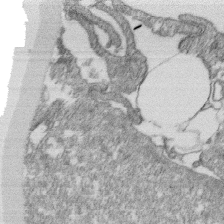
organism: African green monkey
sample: Vero E6 cells infected with SARS-CoV-2